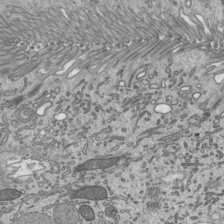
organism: Mouse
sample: Mouse epididymis efferent ductule cilia